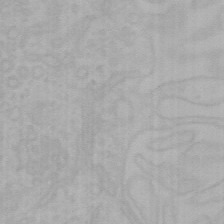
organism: Mouse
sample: Choroid plexus